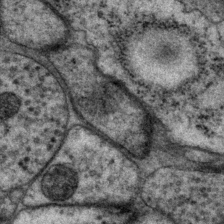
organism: P. pacificus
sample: Pharynx